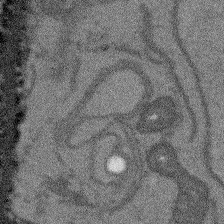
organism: Arabidopsis thaliana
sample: Root tip